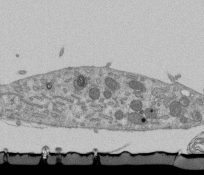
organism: Mouse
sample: ED-1 cell nuclei; centrioles